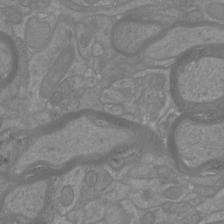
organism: Mouse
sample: Cortical neurons